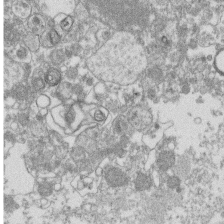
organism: Human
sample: HeLa cell HIV synapse